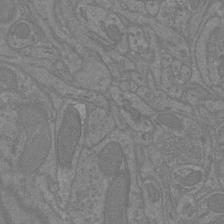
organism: Mouse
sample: Cortical neurons